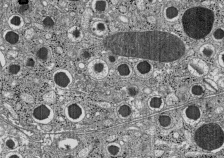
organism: C57BL Mouse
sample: Pancreatic islet